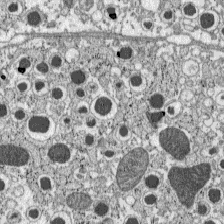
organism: C57BL Mouse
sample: Pancreatic islet